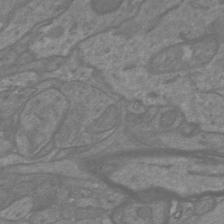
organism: Mouse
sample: Cortical neurons